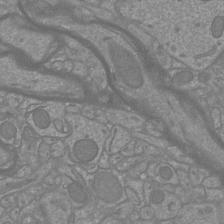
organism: Mouse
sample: Cortical neurons